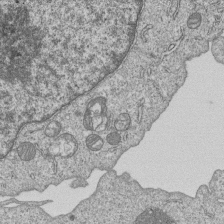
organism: Human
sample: MDA-MB-231 cells